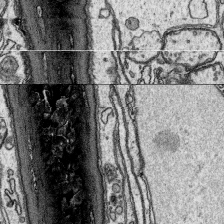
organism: Platynereis dumerilii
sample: Parapodia